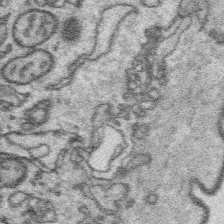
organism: Platynereis dumerilii